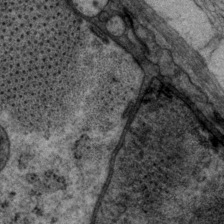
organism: P. pacificus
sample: Pharynx